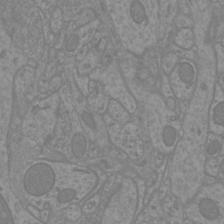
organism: Mouse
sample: Cortical neurons